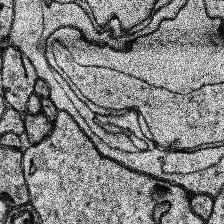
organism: Human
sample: Temporal Lobe